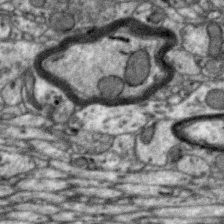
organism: Zebra finch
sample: Brain